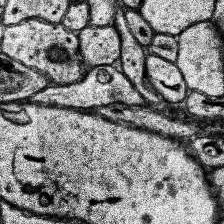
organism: Human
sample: Temporal Lobe